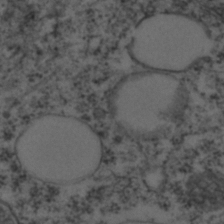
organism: C. elegans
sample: C. elegans embryo